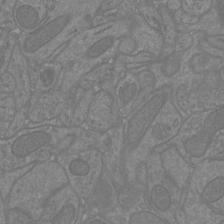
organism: Mouse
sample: Cortical neurons